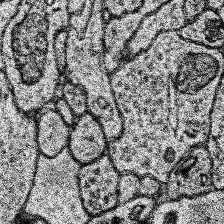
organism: Human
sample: Temporal Lobe